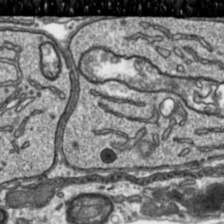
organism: Toxoplasma gondii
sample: Parasites in a vacuole inside a host cell